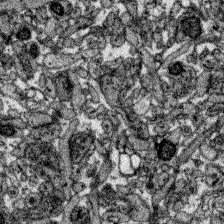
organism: Zebrafish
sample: Larval olfactory bulb